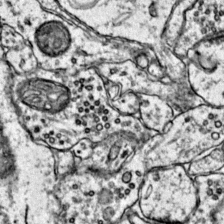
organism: Mouse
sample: Primary visual cortex